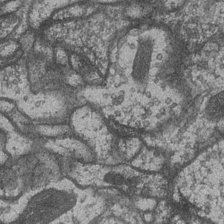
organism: Drosophila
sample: Optic medulla